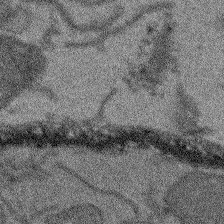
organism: Arabidopsis thaliana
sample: Root tip